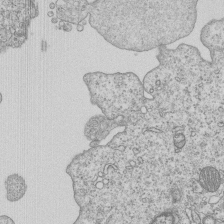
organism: Human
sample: MDA-MB-231 cells